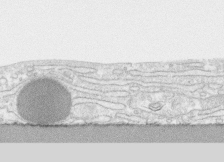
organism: Human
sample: CRL-1474